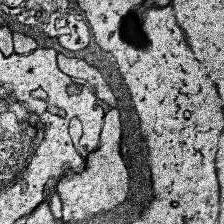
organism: Human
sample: Temporal Lobe